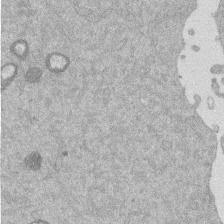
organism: Mouse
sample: Dividing mouse embryo 1 cell stage